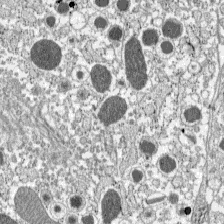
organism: C57BL Mouse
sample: Pancreatic islet